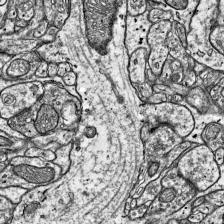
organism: Mouse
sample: Visual Cortex